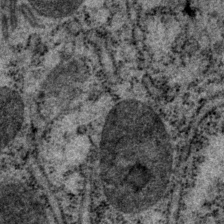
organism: P. pacificus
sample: Pharynx